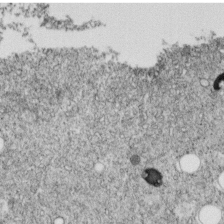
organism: C. elegans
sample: C. elegans embryo early stage